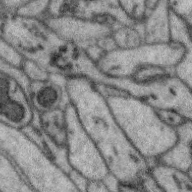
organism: Zebra finch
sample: Brain